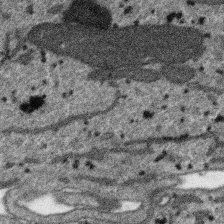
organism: Human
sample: Lung epithelial cells infected with SARS-CoV-2